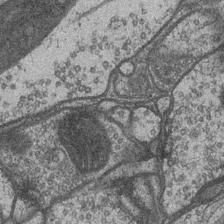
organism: Drosophila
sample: Optic medulla